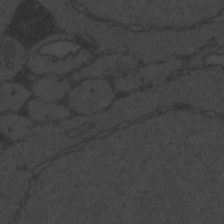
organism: Zebrafish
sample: Macrophage infected with Toxoplasma gondii